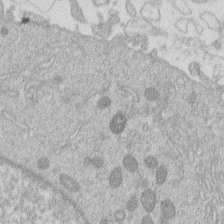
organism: Human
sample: Macrophage cells